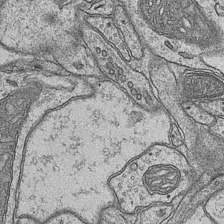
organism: Mouse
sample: CA1 Hippocampus